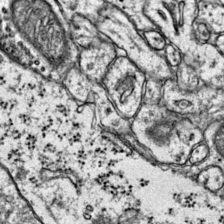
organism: Mouse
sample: Primary visual cortex